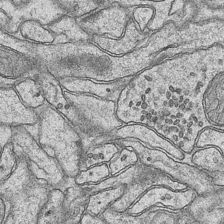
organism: Mouse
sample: CA1 Hippocampus